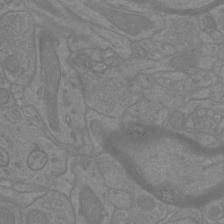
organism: Mouse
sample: Cortical neurons